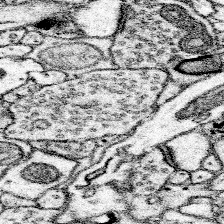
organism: Mouse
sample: Somatosensory cortex neuropil